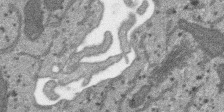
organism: Human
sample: Lung epithelial cells infected with SARS-CoV-2